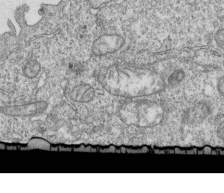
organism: Human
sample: HeLa cell HIV synapse